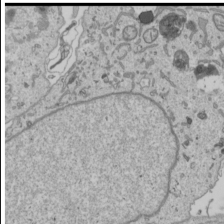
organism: Human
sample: Mitochondria in U2OS cells